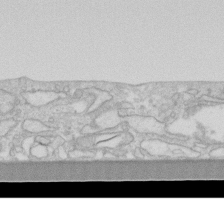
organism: Human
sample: Fibroblast cells